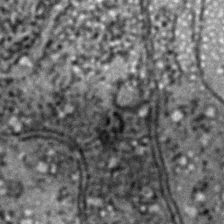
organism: Zebrafish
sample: Zebrafish embryo